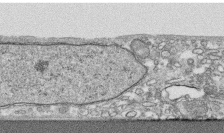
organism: Human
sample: CRL-1474